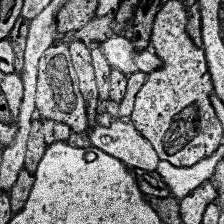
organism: Human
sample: Temporal Lobe